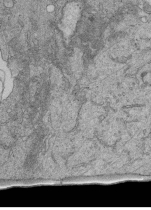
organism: Human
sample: Retinal organoid Rod and Cone cells